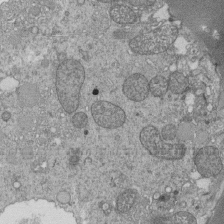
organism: Tetrahymena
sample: Cilia in tetrahymena